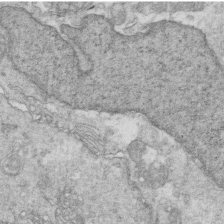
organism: Mouse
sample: Multiciliated cells